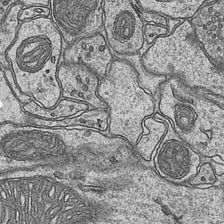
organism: Mouse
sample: CA1 Hippocampus